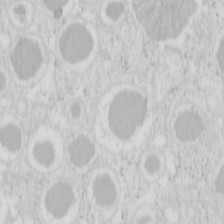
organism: Mouse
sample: Pancreas